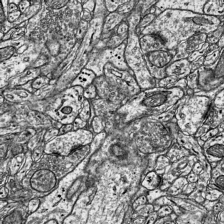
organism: Mouse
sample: Visual Cortex